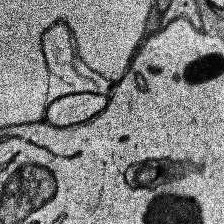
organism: Human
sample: Temporal Lobe